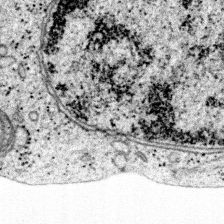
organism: Human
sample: HeLa cells